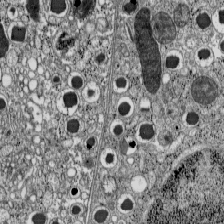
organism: C57BL Mouse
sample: Pancreatic islet